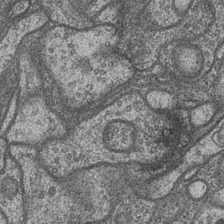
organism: Drosophila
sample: Optic medulla